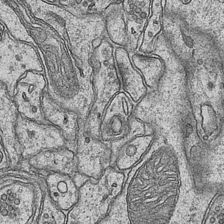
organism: Mouse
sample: CA1 Hippocampus